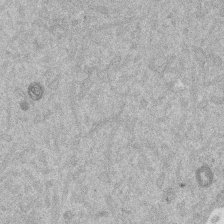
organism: Mouse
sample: Dividing mouse embryo 1 cell stage